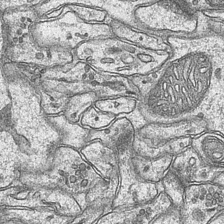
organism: Mouse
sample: CA1 Hippocampus